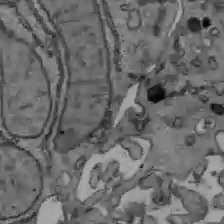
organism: C57BL Mouse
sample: Liver